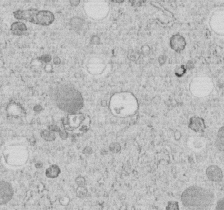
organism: C. elegans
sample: C. elegans embryo early stage